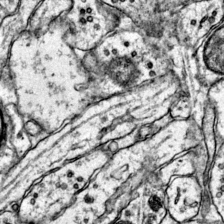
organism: Mouse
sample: Primary visual cortex